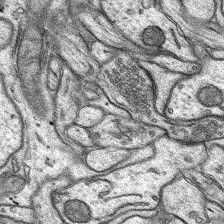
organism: Rat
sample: Hippocampus